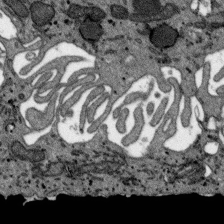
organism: Human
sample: Lung epithelial cells, uninfected (mock) control